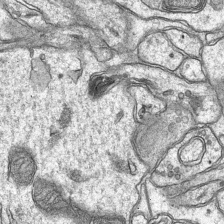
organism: Mouse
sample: CA1 Hippocampus